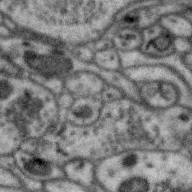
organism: Zebra finch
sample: Brain